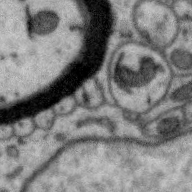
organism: Zebra finch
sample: Brain